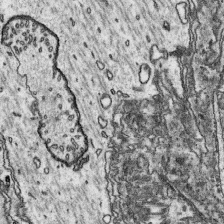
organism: Platynereis dumerilii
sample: Parapodia